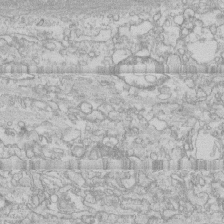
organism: Human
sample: CRL-1474